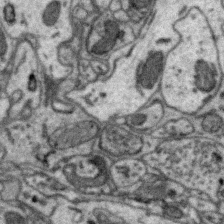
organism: Zebra finch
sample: Brain